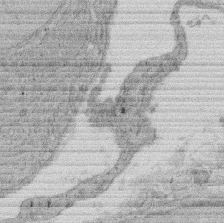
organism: Rat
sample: Salivary granule